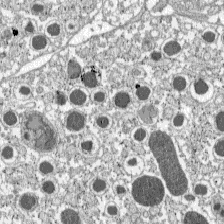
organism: C57BL Mouse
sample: Pancreatic islet